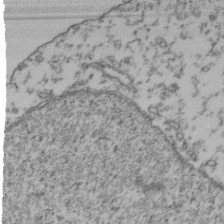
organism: Human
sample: Activated Jurkat CD4+ T cells